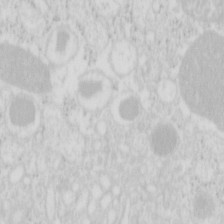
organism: Mouse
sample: Pancreas